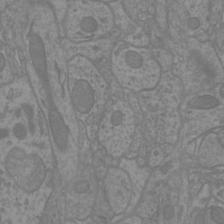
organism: Mouse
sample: Cortical neurons